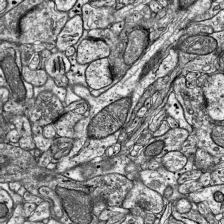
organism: Mouse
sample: Visual Cortex